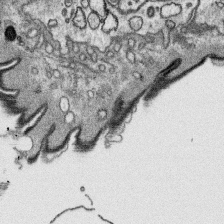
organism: Platynereis dumerilii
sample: Parapodia